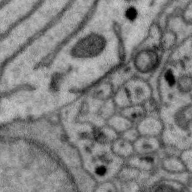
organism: Zebra finch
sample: Brain